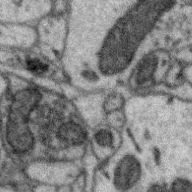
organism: Zebra finch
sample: Brain